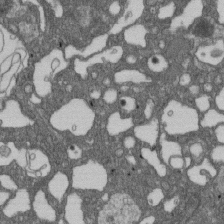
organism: Drosophila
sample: Nephrocyte